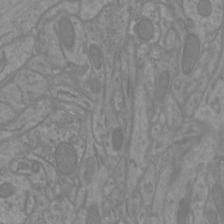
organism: Mouse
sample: Cortical neurons